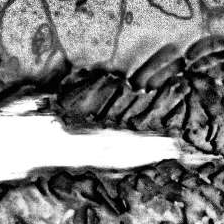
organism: Human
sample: Temporal Lobe